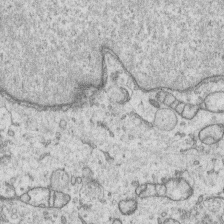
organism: Human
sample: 1205lu cells